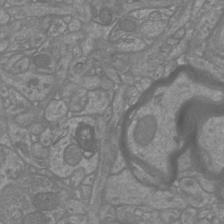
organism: Mouse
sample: Cortical neurons